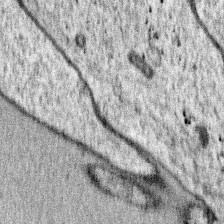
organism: Human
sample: HeLa cells